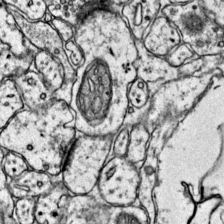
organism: Mouse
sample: Primary visual cortex